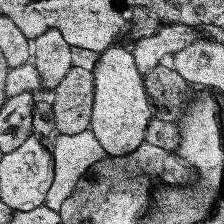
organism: Human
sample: Temporal Lobe